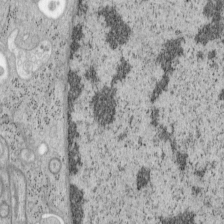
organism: Mouse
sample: OT-I killer T cells with ID8 ovarian cancer cells